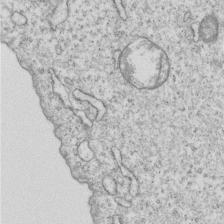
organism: Human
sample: MDA-MB-231 cells